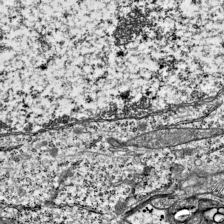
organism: Mouse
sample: Visual Cortex